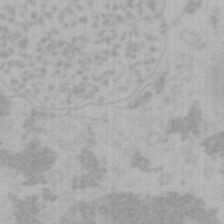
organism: Mouse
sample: Choroid plexus